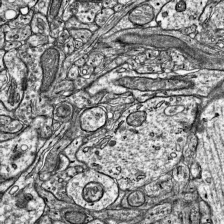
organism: Mouse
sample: Visual Cortex